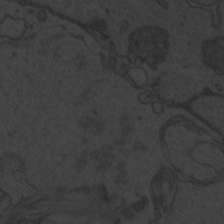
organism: Zebrafish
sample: Macrophage infected with Toxoplasma gondii